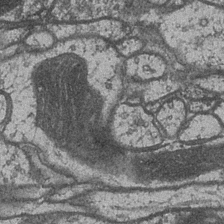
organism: Drosophila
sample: Optic medulla